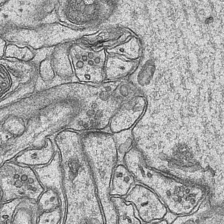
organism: Mouse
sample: CA1 Hippocampus